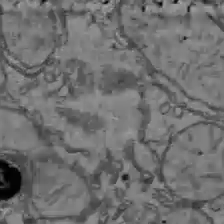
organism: C57BL Mouse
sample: Liver